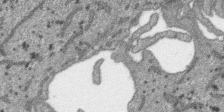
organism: Human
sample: Lung epithelial cells infected with SARS-CoV-2